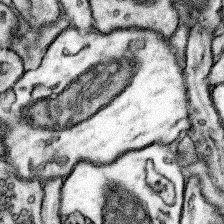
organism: Mouse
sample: Somatosensory cortex neuropil